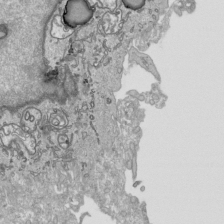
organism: Human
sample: Mitochondria in HCT116 cells